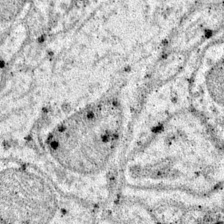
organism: Mouse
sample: Primary visual cortex